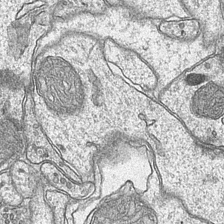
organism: Mouse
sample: CA1 Hippocampus